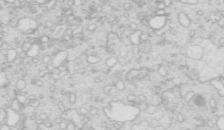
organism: Mouse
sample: Multiciliated cells